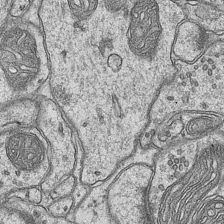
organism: Mouse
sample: CA1 Hippocampus